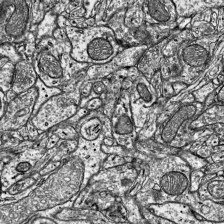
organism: Mouse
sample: Visual Cortex